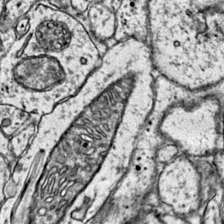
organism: Mouse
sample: Primary visual cortex